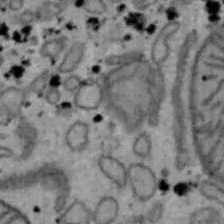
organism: Mouse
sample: Liver